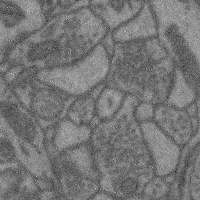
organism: Mouse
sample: Cerebral cortex